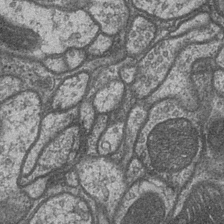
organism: Drosophila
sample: Optic medulla